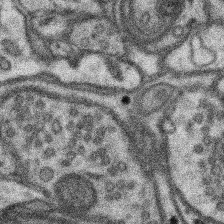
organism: Mouse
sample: Somatosensory cortex neuropil